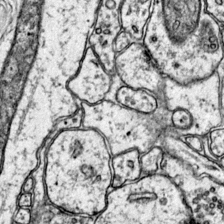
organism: Mouse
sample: Primary visual cortex